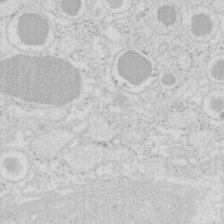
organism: Mouse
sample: Pancreas